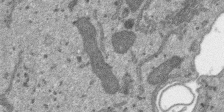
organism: Human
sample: Lung epithelial cells infected with SARS-CoV-2